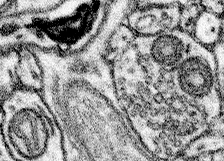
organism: Mouse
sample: Somatosensory cortex neuropil